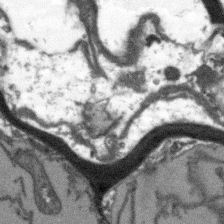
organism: Arabidopsis thaliana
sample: Root tip